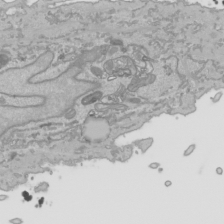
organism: Human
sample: Mitochondria in HCT116 cells